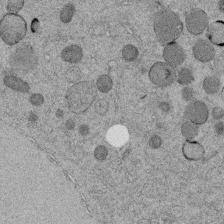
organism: C. elegans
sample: C. elegans embryo early stage